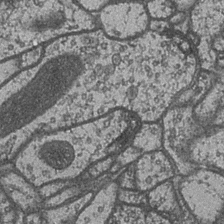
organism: Drosophila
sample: Optic medulla